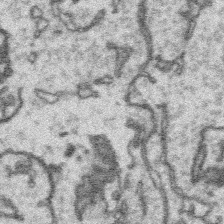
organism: Platynereis dumerilii